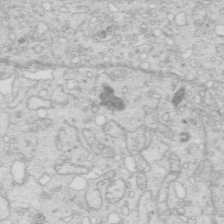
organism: Mouse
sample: Multiciliated cells